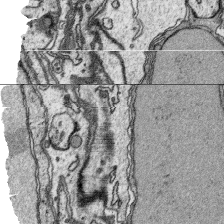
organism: Platynereis dumerilii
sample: Parapodia